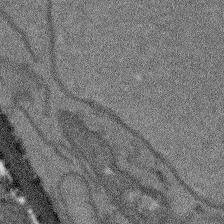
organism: Arabidopsis thaliana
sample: Root tip